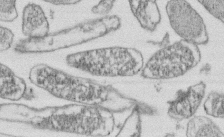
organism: E. coli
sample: Bacterial nucleoid